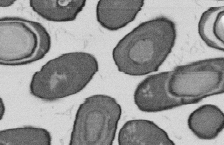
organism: B. subtilis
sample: Bacterial spore